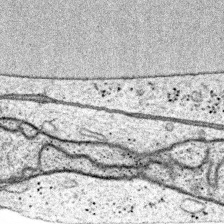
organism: Human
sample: HeLa cells